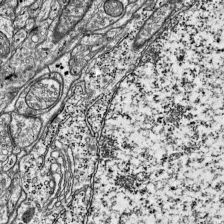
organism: Mouse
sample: Visual Cortex